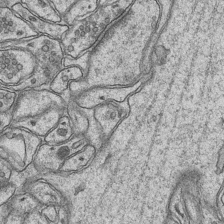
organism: Mouse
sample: CA1 Hippocampus